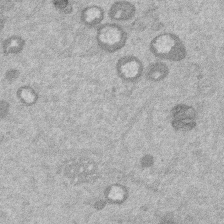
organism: Mouse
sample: Dividing mouse embryo 1 cell stage